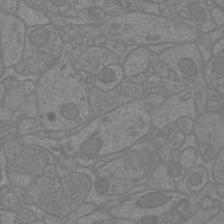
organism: Mouse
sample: Cortical neurons